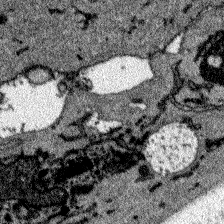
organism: Zebrafish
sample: Larval olfactory bulb